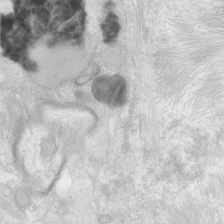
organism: Human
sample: Neocortex